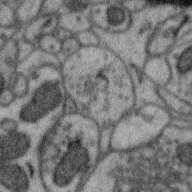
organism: Zebra finch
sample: Brain